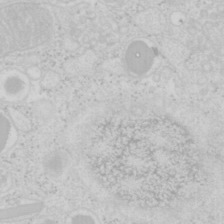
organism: Mouse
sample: Pancreas